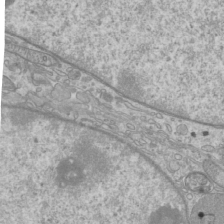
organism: Mouse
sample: Cilia; mouse epididymis